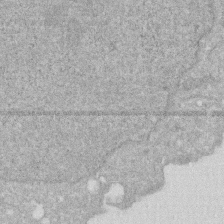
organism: Human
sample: HIV infected U937 cells